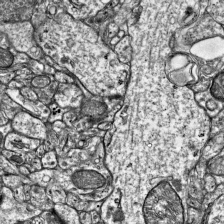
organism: Mouse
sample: Visual Cortex